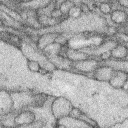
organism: Rabbit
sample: Retina